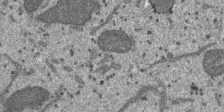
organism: Human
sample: Lung epithelial cells infected with SARS-CoV-2